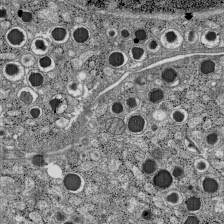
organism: C57BL Mouse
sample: Pancreatic islet